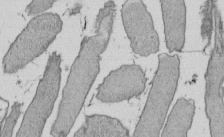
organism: E. coli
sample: Bacterial nucleoid